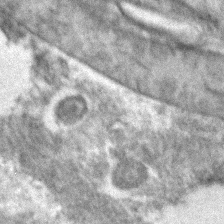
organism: C. elegans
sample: C. elegans embryo